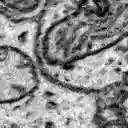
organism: Zebrafish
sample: Brain